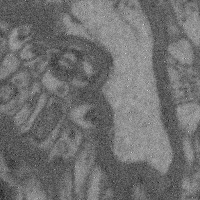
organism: Mouse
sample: Cerebral cortex